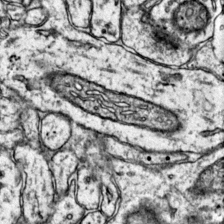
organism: Mouse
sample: Primary visual cortex